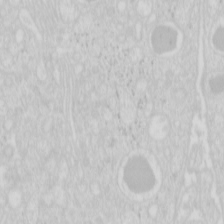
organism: Mouse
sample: Pancreas